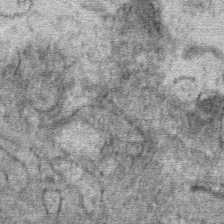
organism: Mouse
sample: Mouse hepatocytes